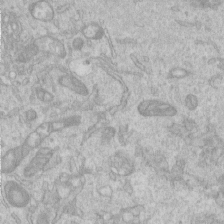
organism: Human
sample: Centriole in RPE cells